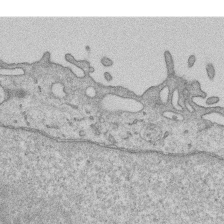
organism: Human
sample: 1205lu cells